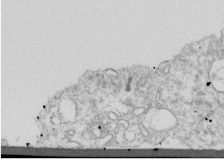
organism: Dictyostelium discoideum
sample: Dictyostelium multivesicular bodies